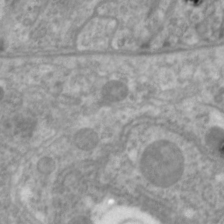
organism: C. elegans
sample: Pharynx